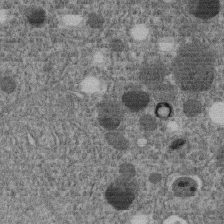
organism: C. elegans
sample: C. elegans embryo early stage